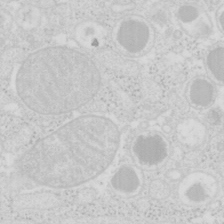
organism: Mouse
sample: Pancreas